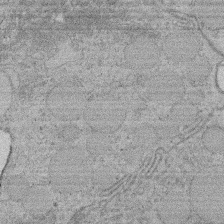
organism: Rat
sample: Salivary granule